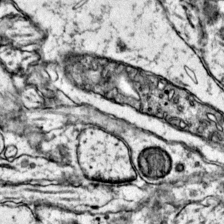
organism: Mouse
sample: Primary visual cortex